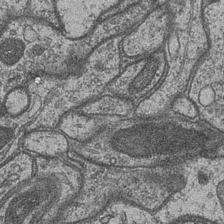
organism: Drosophila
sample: Optic medulla